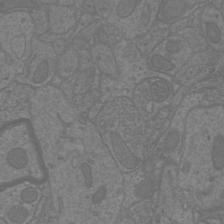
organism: Mouse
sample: Cortical neurons